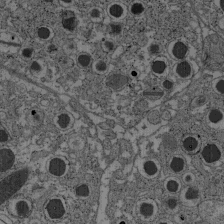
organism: C57BL Mouse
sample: Pancreatic islet